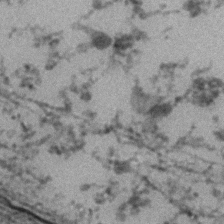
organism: Zebrafish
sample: Zebrafish embryo